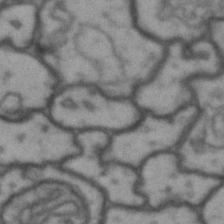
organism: Drosophila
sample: Brain